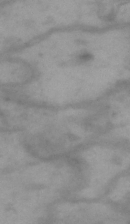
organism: Drosophila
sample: Brain